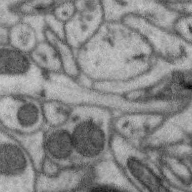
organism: Zebra finch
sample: Brain